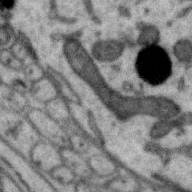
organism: Zebra finch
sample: Brain